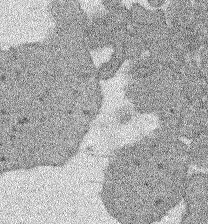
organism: Human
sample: HeLa cells